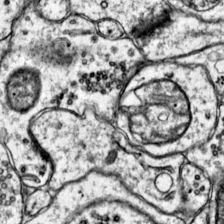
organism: Mouse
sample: Primary visual cortex